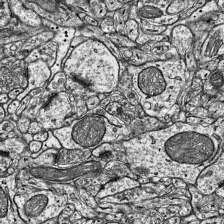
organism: Mouse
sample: Visual Cortex